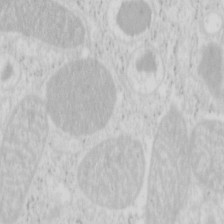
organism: Mouse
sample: Pancreas